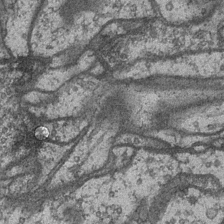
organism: Drosophila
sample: Optic medulla